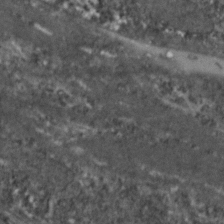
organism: Zebrafish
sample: Zebrafish embryo